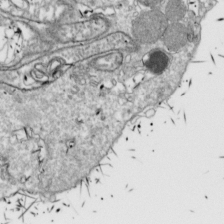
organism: Drosophila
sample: Cell division; meiosis; drosophila spermatocytes